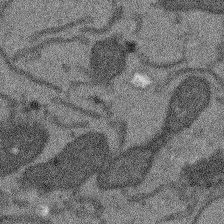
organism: Arabidopsis thaliana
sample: Root tip